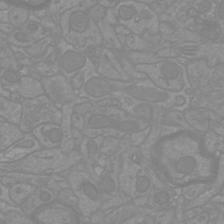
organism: Mouse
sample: Cortical neurons